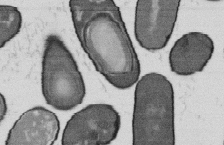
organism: B. subtilis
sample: Bacterial spore